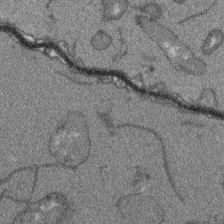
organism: Arabidopsis thaliana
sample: Root tip